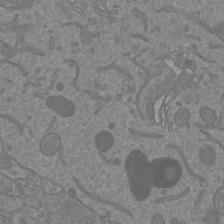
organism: Mouse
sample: Cortical neurons